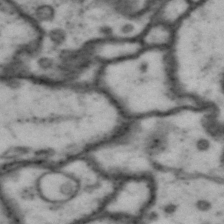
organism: Drosophila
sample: Brain